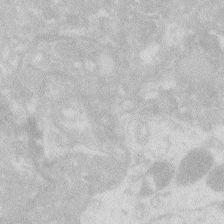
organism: Zebrafish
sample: Macrophage